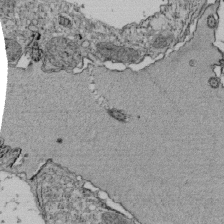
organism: Tetrahymena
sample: Cilia in tetrahymena